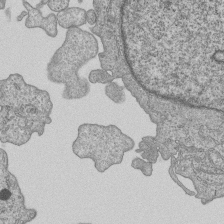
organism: Human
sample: MDA-MB-231 cells